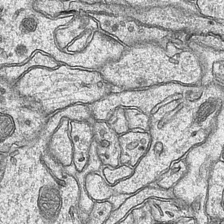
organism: Mouse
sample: CA1 Hippocampus